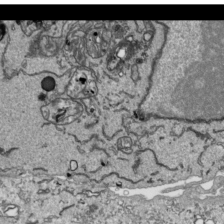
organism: Human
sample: Mitochondria in HCT116 cells